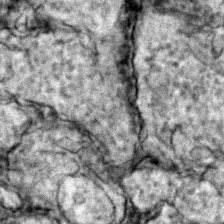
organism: Zebrafish